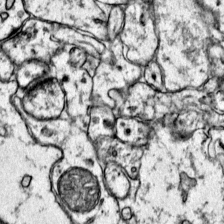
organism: Mouse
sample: Primary visual cortex